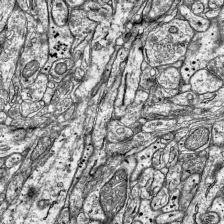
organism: Mouse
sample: Visual Cortex